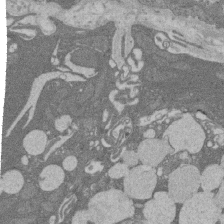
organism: Rat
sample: Salivary granule